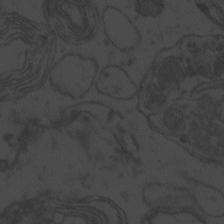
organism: Zebrafish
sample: Macrophage infected with Toxoplasma gondii